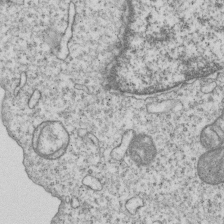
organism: Human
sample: MDA-MB-231 cells